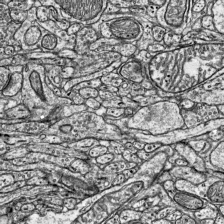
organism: Mouse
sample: Visual Cortex